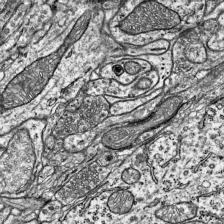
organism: Mouse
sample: Visual Cortex